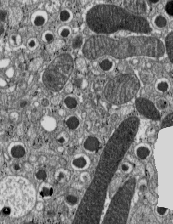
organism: C57BL Mouse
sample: Pancreatic islet